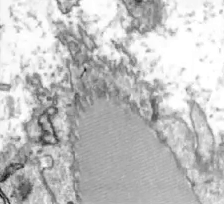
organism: Zebrafish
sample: Actinotrichia fibers